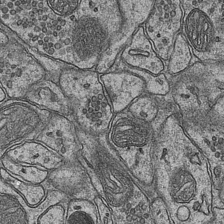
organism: Mouse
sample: CA1 Hippocampus